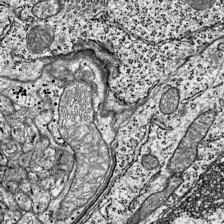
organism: Mouse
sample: Visual Cortex